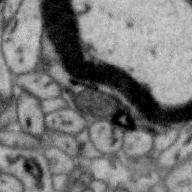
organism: Zebra finch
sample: Brain